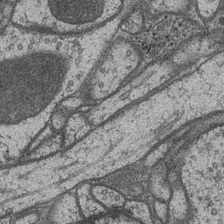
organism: Drosophila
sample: Optic medulla